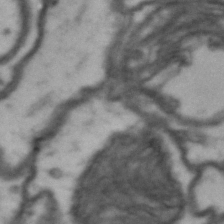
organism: Drosophila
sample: Brain